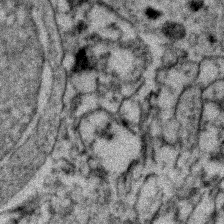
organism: Zebrafish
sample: Zebrafish embryo